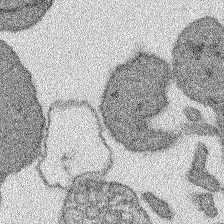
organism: Human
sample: HeLa cells